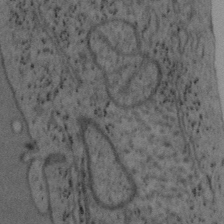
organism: Human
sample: HeLa cells